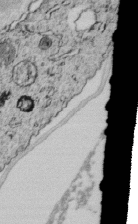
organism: C. elegans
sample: C. elegans embryo early stage